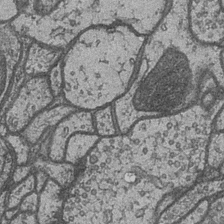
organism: Drosophila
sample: Optic medulla